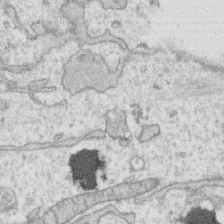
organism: Human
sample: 1205lu cells